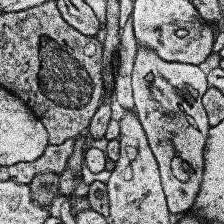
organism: Human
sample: Temporal Lobe